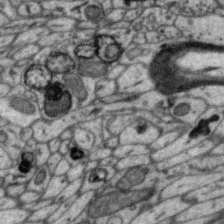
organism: Zebra finch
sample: Brain